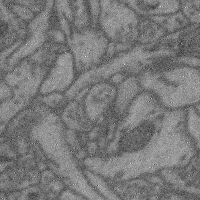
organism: Mouse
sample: Cerebral cortex